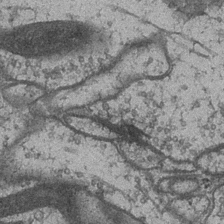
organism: Drosophila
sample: Optic medulla